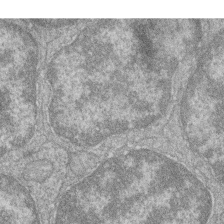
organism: Zebrafish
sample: Cilia; retinal pigment epithelium